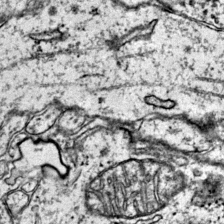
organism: Mouse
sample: Primary visual cortex